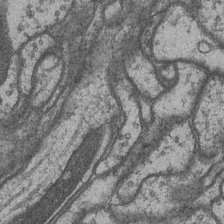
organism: Drosophila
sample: Optic medulla